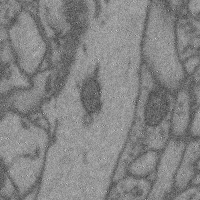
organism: Mouse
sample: Cerebral cortex